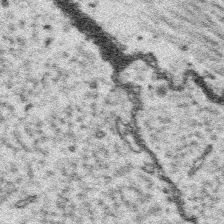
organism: Platynereis dumerilii